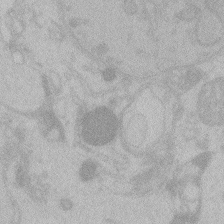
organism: Zebrafish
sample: Macrophage infected with Toxoplasma gondii